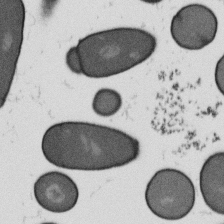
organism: B. subtilis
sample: Bacterial spore